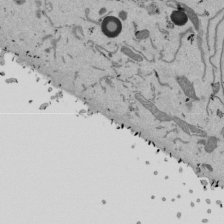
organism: Mouse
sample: ED-1 cell nuclei; centrioles